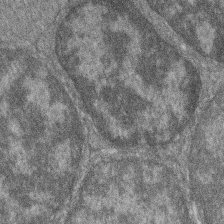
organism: Zebrafish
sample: Cilia; retinal pigment epithelium